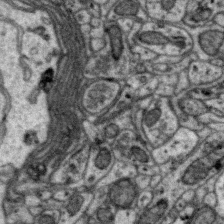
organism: Zebra finch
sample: Brain